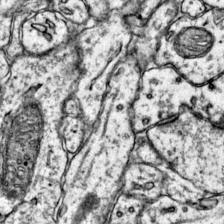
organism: Mouse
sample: Primary visual cortex